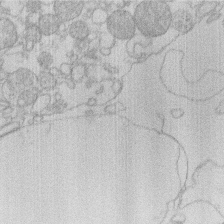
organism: Human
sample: Macrophage cells